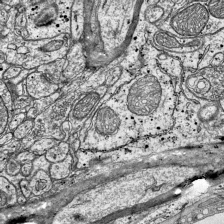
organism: Mouse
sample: Visual Cortex